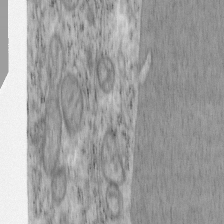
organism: Human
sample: HeLa cells